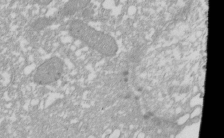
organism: Xenopus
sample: Cilia; centrioles in frog embryo cells